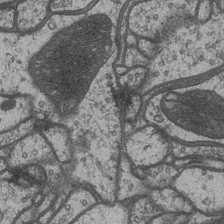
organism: Drosophila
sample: Optic medulla